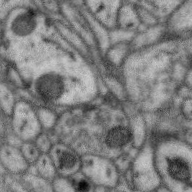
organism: Zebra finch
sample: Brain